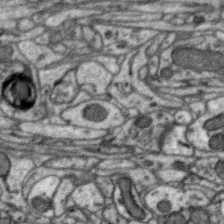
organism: Zebra finch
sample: Brain